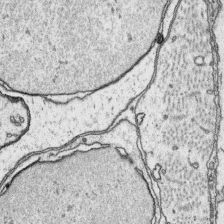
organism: Platynereis dumerilii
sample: Parapodia